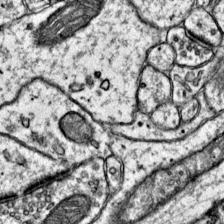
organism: Mouse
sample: Primary visual cortex